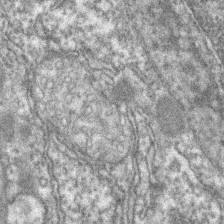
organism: Zebrafish